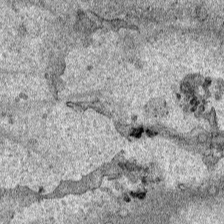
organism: Human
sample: Mitochondria in HCT116 cells